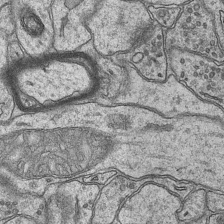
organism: Mouse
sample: CA1 Hippocampus